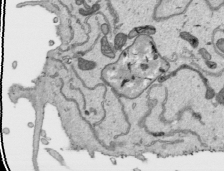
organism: Human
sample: Mitochondria in HCT116 cells